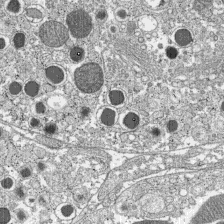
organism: C57BL Mouse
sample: Pancreatic islet